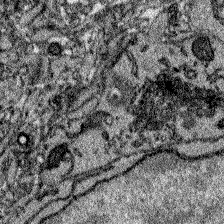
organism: Zebrafish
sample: Larval olfactory bulb